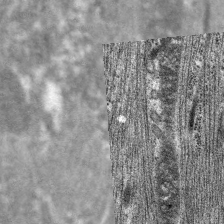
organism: C. elegans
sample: Pharynx